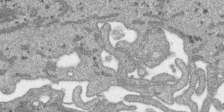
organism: Human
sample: Lung epithelial cells infected with SARS-CoV-2